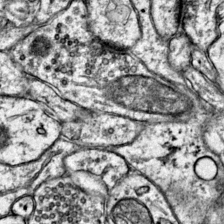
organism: Mouse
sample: Primary visual cortex